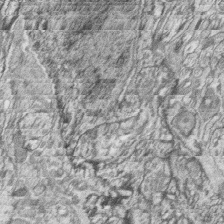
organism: Zebrafish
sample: synaptic ribbons in rod cells and cone cells